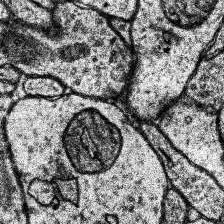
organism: Human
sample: Temporal Lobe